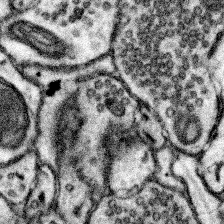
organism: Mouse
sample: Somatosensory cortex neuropil